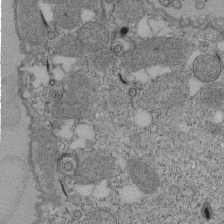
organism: Tetrahymena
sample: Cilia in tetrahymena